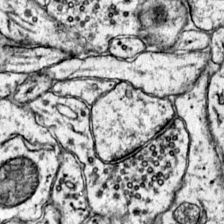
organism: Mouse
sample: Primary visual cortex